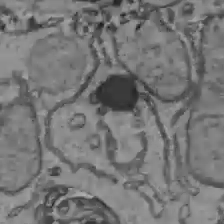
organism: C57BL Mouse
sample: Liver